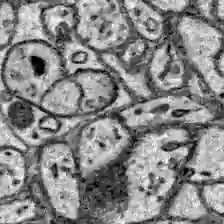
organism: Zebrafish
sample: Brain